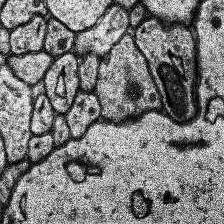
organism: Human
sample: Temporal Lobe